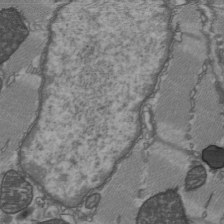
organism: C57BL Mouse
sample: Heart